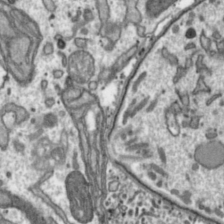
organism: Toxoplasma gondii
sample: Parasites in a vacuole inside a host cell